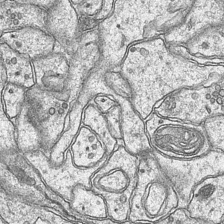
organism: Mouse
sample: CA1 Hippocampus